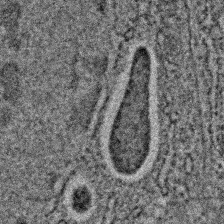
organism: C. elegans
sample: C. elegans embryo